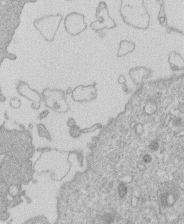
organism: Human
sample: Macrophage cells